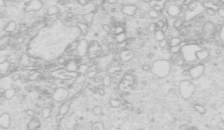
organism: Mouse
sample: Multiciliated cells